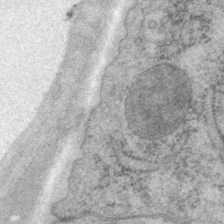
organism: P. pacificus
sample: Pharynx